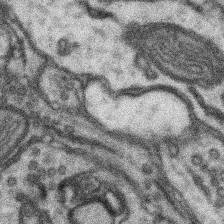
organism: Mouse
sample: Somatosensory cortex neuropil